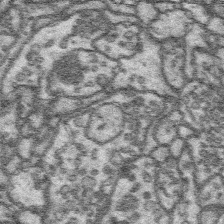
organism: Platynereis dumerilii